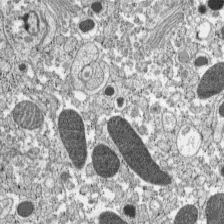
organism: C57BL Mouse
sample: Pancreatic islet